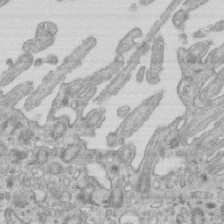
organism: Mouse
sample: Centriole in ependymal cells